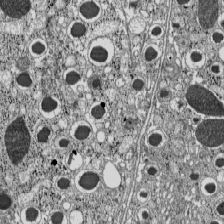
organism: C57BL Mouse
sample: Pancreatic islet